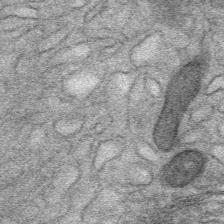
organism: Mouse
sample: Mouse Salivary gland